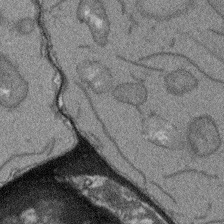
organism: Arabidopsis thaliana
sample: Root tip